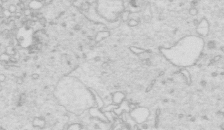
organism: Mouse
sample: Multiciliated cells